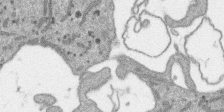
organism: Human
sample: Lung epithelial cells infected with SARS-CoV-2